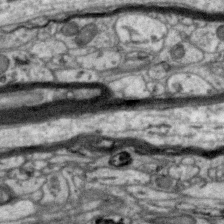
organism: Zebra finch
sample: Brain